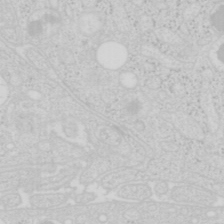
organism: Mouse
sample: Pancreas